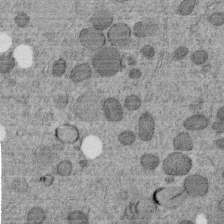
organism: C. elegans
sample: C. elegans embryo early stage